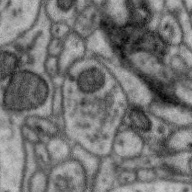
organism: Zebra finch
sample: Brain